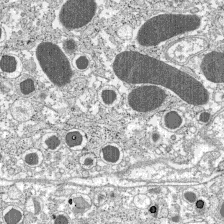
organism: C57BL Mouse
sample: Pancreatic islet